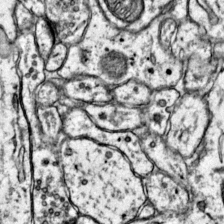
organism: Mouse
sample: Primary visual cortex